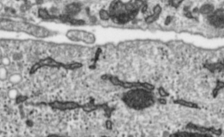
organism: Toxoplasma gondii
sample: Parasites in a vacuole inside a host cell